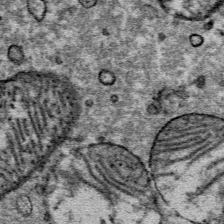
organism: Mouse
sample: Mouse Salivary gland